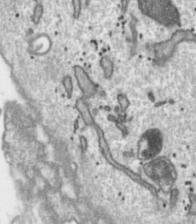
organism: Toxoplasma gondii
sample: Parasites in a vacuole inside a host cell